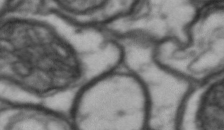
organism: Drosophila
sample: Brain